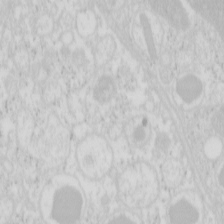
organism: Mouse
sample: Pancreas